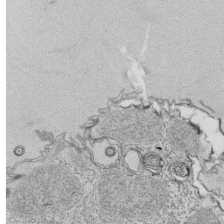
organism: Tetrahymena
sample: Cilia in tetrahymena